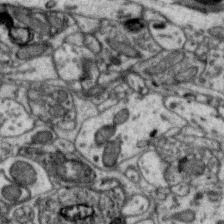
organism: Zebra finch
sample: Brain